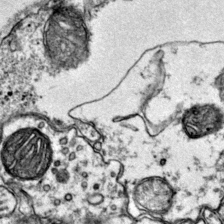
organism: Mouse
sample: Primary visual cortex